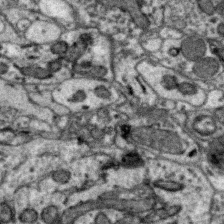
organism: Zebra finch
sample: Brain